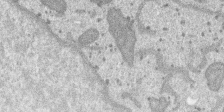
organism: Human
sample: Lung epithelial cells infected with SARS-CoV-2